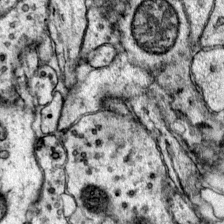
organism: Mouse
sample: Primary visual cortex